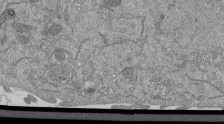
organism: Mouse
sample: ED-1 cell nuclei; centrioles